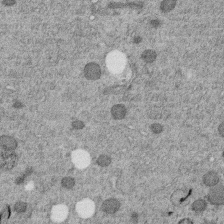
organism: C. elegans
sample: C. elegans embryo early stage